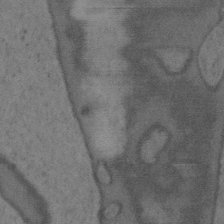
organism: Human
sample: HeLa cells